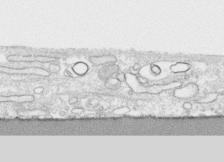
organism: Human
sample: CRL-1474